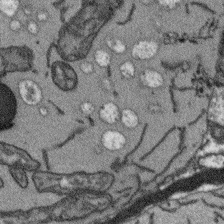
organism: Arabidopsis thaliana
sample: Root tip